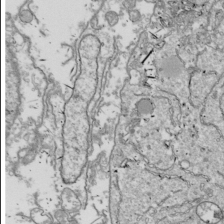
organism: Drosophila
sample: Cell division; meiosis; drosophila spermatocytes